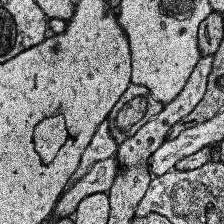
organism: Human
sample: Temporal Lobe